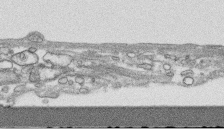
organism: Human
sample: CRL-1474